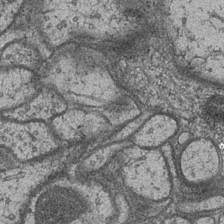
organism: Drosophila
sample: Optic medulla